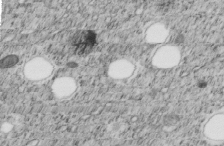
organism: C. elegans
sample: C. elegans embryo early stage